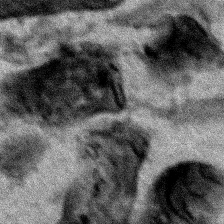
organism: Human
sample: Mitochondria in HCT116 cells